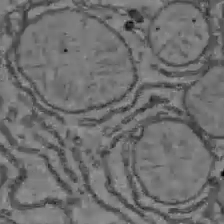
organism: C57BL Mouse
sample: Liver